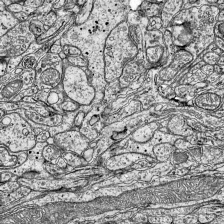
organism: Mouse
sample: Visual Cortex